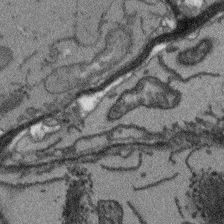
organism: Arabidopsis thaliana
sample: Root tip